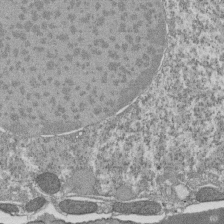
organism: Tetrahymena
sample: Cilia in tetrahymena